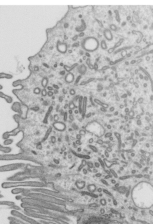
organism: Mouse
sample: Mouse epididymis efferent ductule cilia